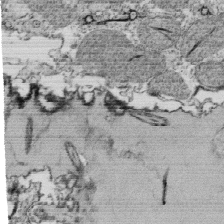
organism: Tetrahymena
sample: Cilia in tetrahymena